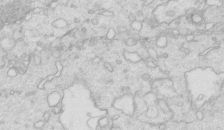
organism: Mouse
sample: Multiciliated cells